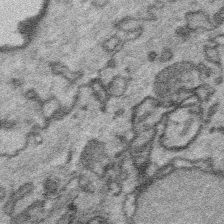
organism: Platynereis dumerilii